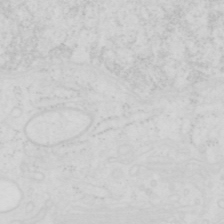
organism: Human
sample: SUM-159 cell